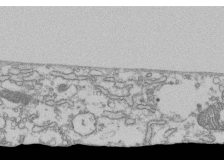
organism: Human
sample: Fibroblast cells